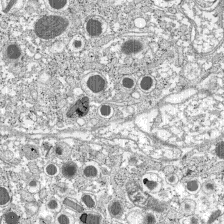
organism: C57BL Mouse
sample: Pancreatic islet